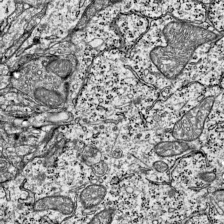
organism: Mouse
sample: Visual Cortex